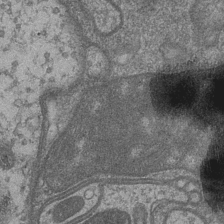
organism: Drosophila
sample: Optic medulla